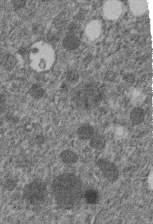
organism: C. elegans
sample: C. elegans embryo early stage